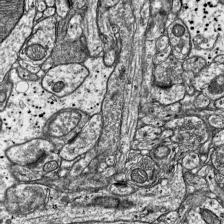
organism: Mouse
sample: Visual Cortex